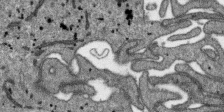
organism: Human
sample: Lung epithelial cells, uninfected (mock) control